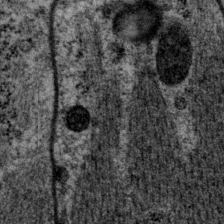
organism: P. pacificus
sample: Pharynx